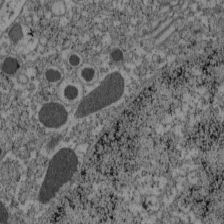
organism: C57BL Mouse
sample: Pancreatic islet